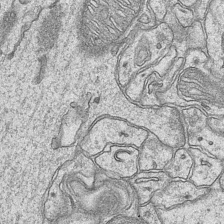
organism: Mouse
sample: CA1 Hippocampus